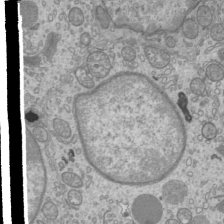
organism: Mouse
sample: Cilia; mouse epididymis